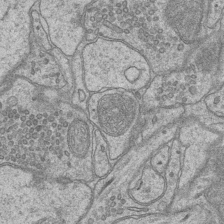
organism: Mouse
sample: CA1 Hippocampus